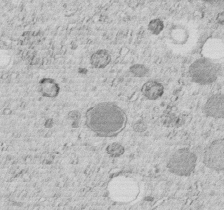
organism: C. elegans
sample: C. elegans embryo early stage